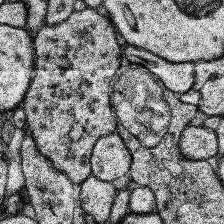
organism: Human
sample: Temporal Lobe